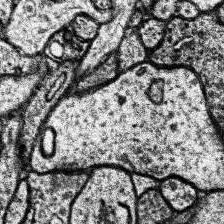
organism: Human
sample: Temporal Lobe